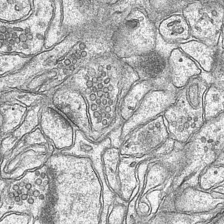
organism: Mouse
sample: CA1 Hippocampus